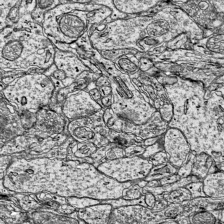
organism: Mouse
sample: Visual Cortex